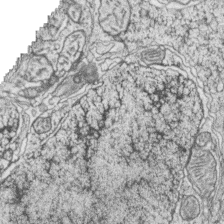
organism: Zebrafish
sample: synaptic ribbons in rod cells and cone cells